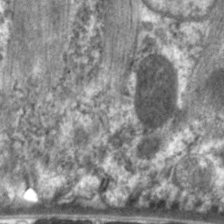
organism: C. elegans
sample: Pharynx